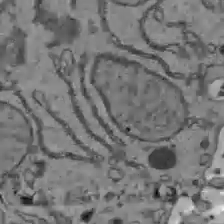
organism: C57BL Mouse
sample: Liver